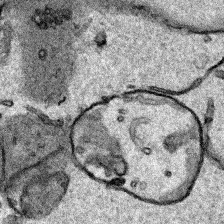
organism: Human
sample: Mitochondria in HCT116 cells